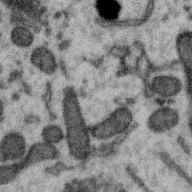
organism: Zebra finch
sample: Brain